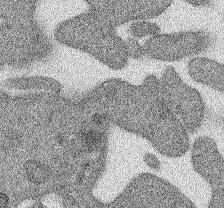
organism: Human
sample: HeLa cells